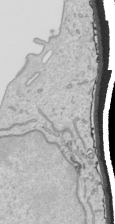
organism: Human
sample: Mitochondria in HCT116 cells